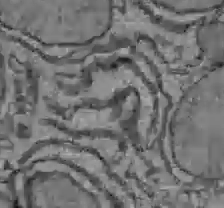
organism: C57BL Mouse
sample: Liver